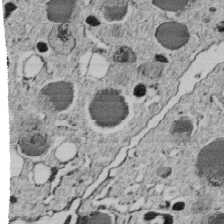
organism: C. elegans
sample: C. elegans embryo early stage